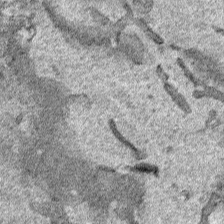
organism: Human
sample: Mitochondria in HCT116 cells